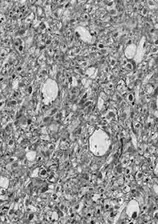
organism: Drosophila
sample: Optic lobe